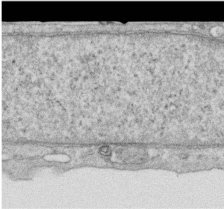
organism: Human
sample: Centriole in RPE cells